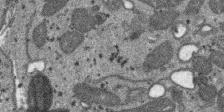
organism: Human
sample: Lung epithelial cells infected with SARS-CoV-2